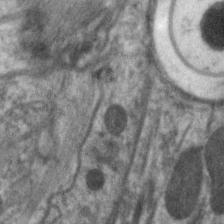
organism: C. elegans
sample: Pharynx